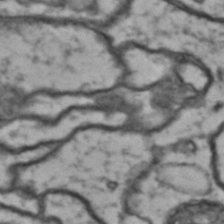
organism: Drosophila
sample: Brain